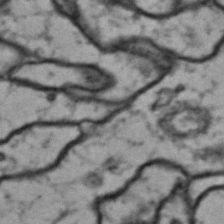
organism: Drosophila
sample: Brain